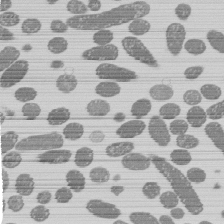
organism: E. coli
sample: Bacterial nucleoid